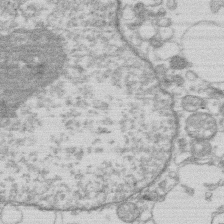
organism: Human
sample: Macrophage cells